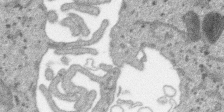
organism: Human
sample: Lung epithelial cells infected with SARS-CoV-2